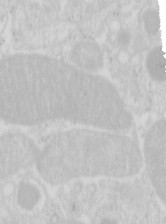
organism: Mouse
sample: Pancreas